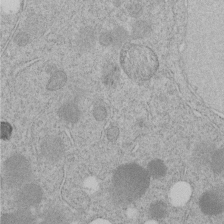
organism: C. elegans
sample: C. elegans embryo early stage